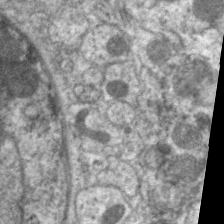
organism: C. elegans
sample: Pharynx